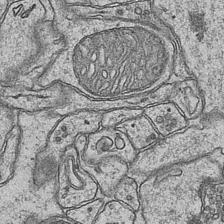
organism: Mouse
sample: CA1 Hippocampus